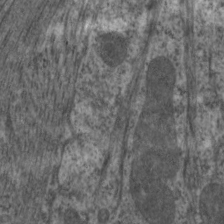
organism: C. elegans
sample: Pharynx